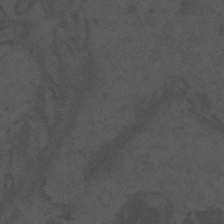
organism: Mouse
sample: Suprachiasmatic nucleus